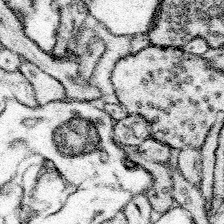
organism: Mouse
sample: Somatosensory cortex neuropil